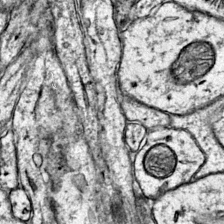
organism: Mouse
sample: Primary visual cortex